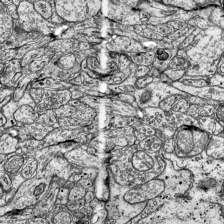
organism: Mouse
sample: Visual Cortex